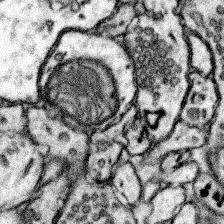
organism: Mouse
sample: Somatosensory cortex neuropil